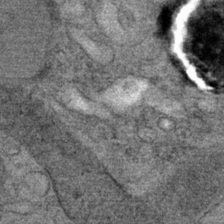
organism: Mouse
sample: Mouse Salivary gland